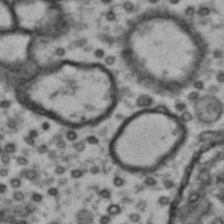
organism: Drosophila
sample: Brain